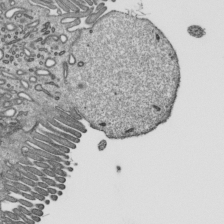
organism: Mouse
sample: Mouse epididymis efferent ductule cilia